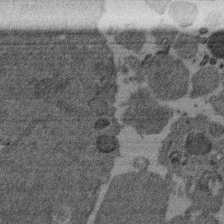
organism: Mouse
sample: Dividing mouse embryo 1 cell stage